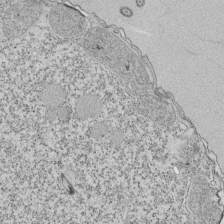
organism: Tetrahymena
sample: Cilia in tetrahymena